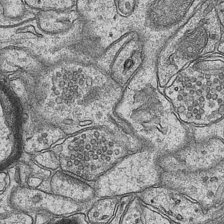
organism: Mouse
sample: CA1 Hippocampus